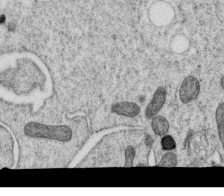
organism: C. elegans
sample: C. elegans oocyte; sperm cells